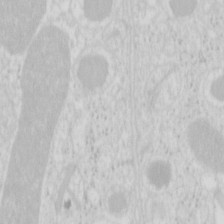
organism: Mouse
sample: Pancreas